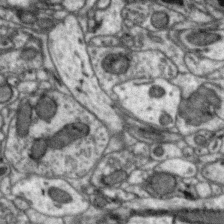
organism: Zebra finch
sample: Brain